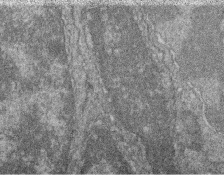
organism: Zebrafish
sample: Cilia; retinal pigment epithelium